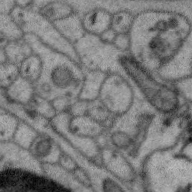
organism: Zebra finch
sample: Brain